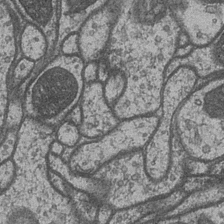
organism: Drosophila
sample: Optic medulla